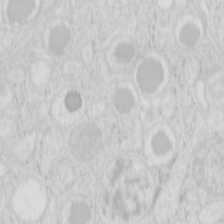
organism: Mouse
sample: Pancreas